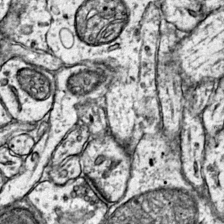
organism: Mouse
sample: Primary visual cortex